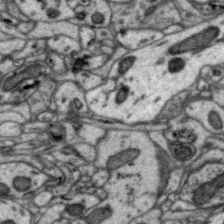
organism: Zebra finch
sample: Brain